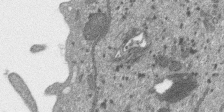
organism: Human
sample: Lung epithelial cells infected with SARS-CoV-2